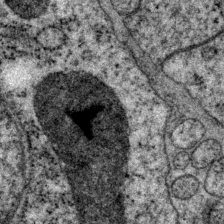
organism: P. pacificus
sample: Pharynx